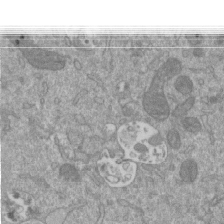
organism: Mouse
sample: ED-1 cell nuclei; centrioles